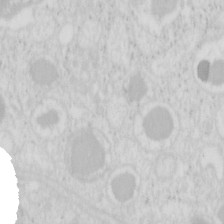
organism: Mouse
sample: Pancreas